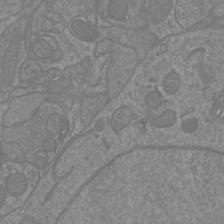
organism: Mouse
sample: Cortical neurons